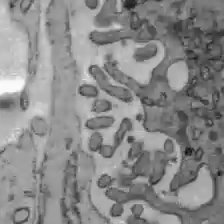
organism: C57BL Mouse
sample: Liver